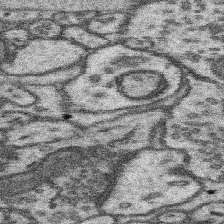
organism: Mouse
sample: Somatosensory cortex neuropil